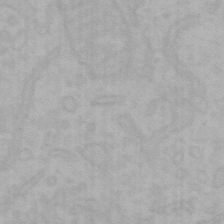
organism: Mouse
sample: Choroid plexus